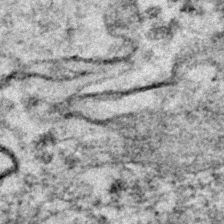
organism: Zebrafish